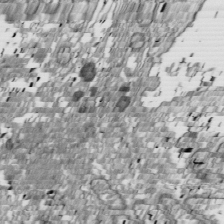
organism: Drosophila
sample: Cell division; meiosis; drosophila spermatocytes